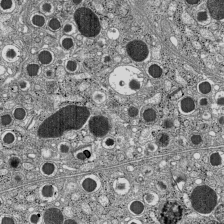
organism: C57BL Mouse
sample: Pancreatic islet